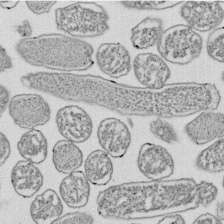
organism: E. coli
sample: Bacterial nucleoid